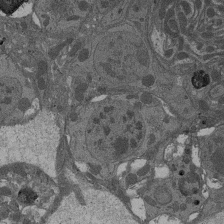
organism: Drosophila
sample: Antenna